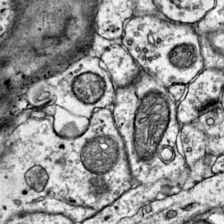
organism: Mouse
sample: Primary visual cortex